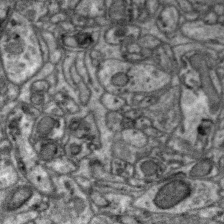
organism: Zebra finch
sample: Brain